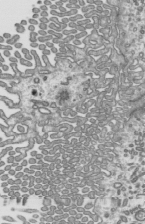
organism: Mouse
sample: Mouse epididymis efferent ductule cilia